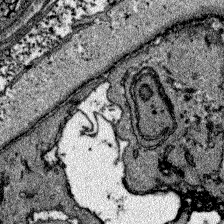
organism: Zebrafish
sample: Larval olfactory bulb